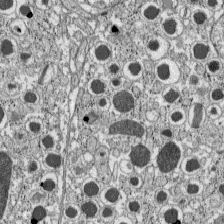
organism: C57BL Mouse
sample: Pancreatic islet